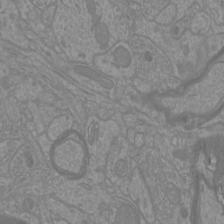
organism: Mouse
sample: Cortical neurons